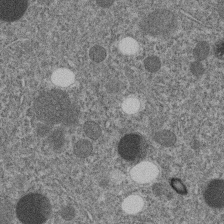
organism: C. elegans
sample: C. elegans embryo early stage